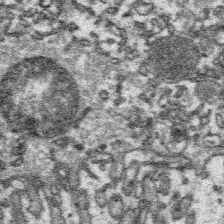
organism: Platynereis dumerilii